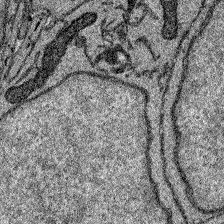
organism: Zebrafish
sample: Larval olfactory bulb